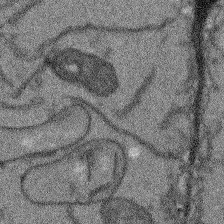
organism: Arabidopsis thaliana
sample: Root tip